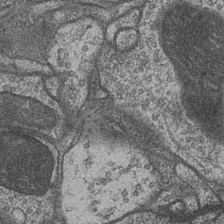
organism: Drosophila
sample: Optic medulla